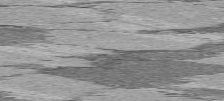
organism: C57BL Mouse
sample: Heart